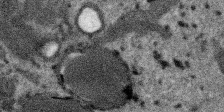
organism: Human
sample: Lung epithelial cells infected with SARS-CoV-2